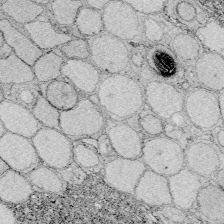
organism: Zebrafish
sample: Whole-Brain